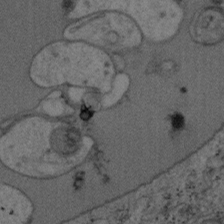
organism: Human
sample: HeLa cells